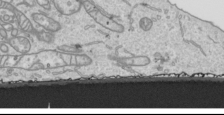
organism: Human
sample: Mitochondria in HCT116 cells